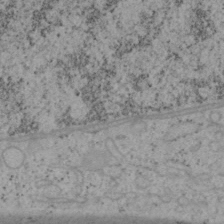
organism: Human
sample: HeLa cells